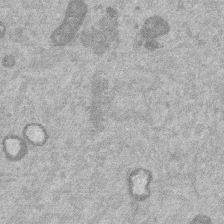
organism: Mouse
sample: Dividing mouse embryo 1 cell stage